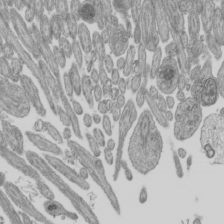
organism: Mouse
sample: Cilia; mouse epididymis